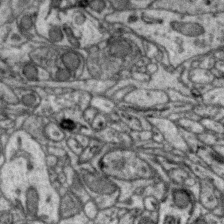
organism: Zebra finch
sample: Brain